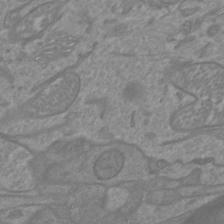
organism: Mouse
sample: Cortical neurons